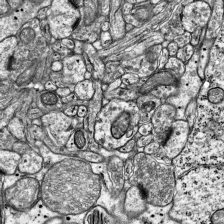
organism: Mouse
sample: Visual Cortex